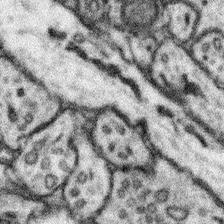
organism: Mouse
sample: Somatosensory cortex neuropil